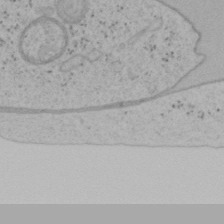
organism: Human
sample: HeLa cells